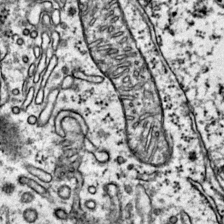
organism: Mouse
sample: Primary visual cortex